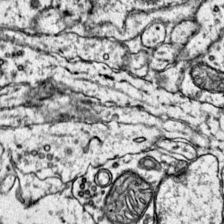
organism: Mouse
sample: Primary visual cortex